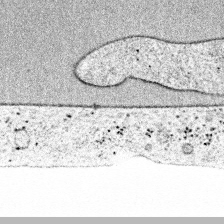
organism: Human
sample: HeLa cells